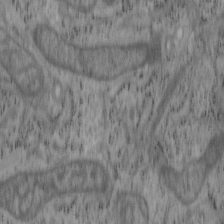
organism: Human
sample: HeLa cells